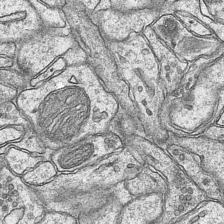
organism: Mouse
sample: CA1 Hippocampus